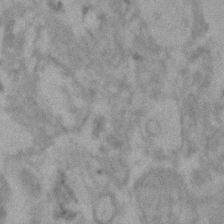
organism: Human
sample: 1205lu cells